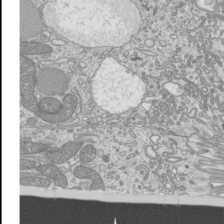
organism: Mouse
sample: Cilia; mouse epididymis